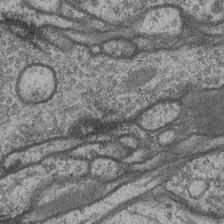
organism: Drosophila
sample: Optic medulla